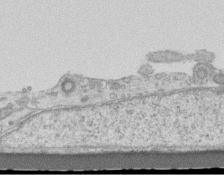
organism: Mouse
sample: Centriole in ependymal cells